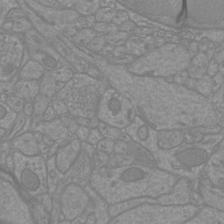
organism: Mouse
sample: Cortical neurons